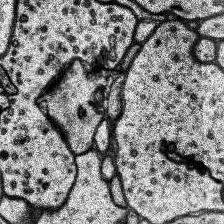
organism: Human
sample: Temporal Lobe